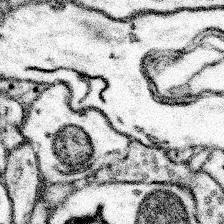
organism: Mouse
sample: Somatosensory cortex neuropil